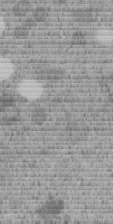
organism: C. elegans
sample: C. elegans embryo early stage